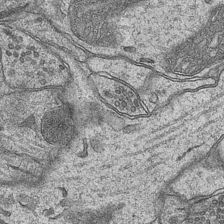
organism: Mouse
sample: CA1 Hippocampus